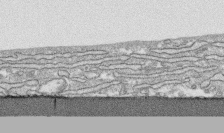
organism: Human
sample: CRL-1474